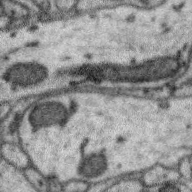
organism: Zebra finch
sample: Brain